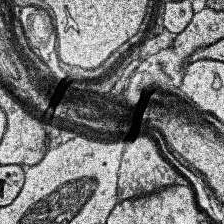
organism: Human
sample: Temporal Lobe